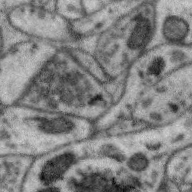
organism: Zebra finch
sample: Brain